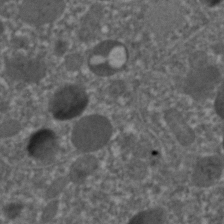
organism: C. elegans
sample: C. elegans embryo